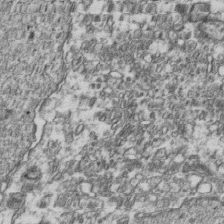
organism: Human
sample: Activated Jurkat CD4+ T cells